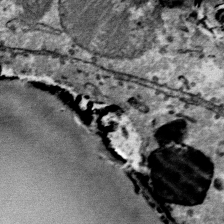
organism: Mouse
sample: Mouse Salivary gland